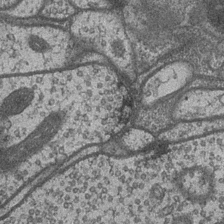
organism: Drosophila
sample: Optic medulla